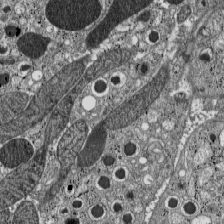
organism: C57BL Mouse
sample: Pancreatic islet